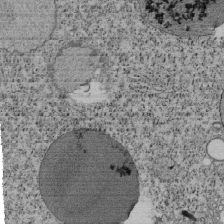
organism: Tetrahymena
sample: Cilia in tetrahymena